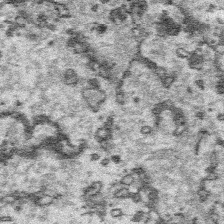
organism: Platynereis dumerilii